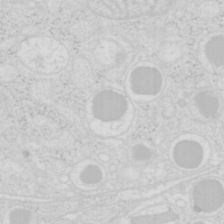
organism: Mouse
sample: Pancreas